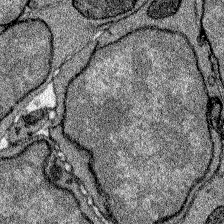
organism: Zebrafish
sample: Larval olfactory bulb